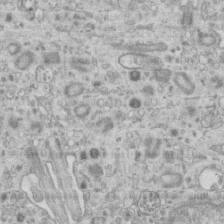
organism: Mouse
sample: Centriole in ependymal cells